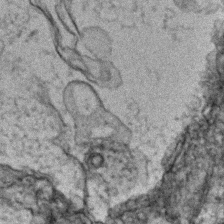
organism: Zebrafish